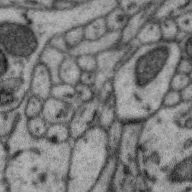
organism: Zebra finch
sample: Brain